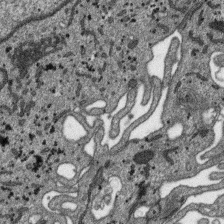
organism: Human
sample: Lung epithelial cells infected with SARS-CoV-2